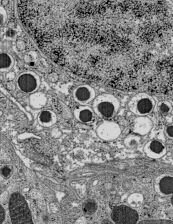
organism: C57BL Mouse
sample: Pancreatic islet